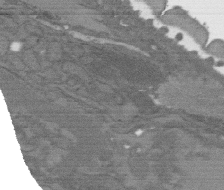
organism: C. elegans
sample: AFD neurons C. elegans